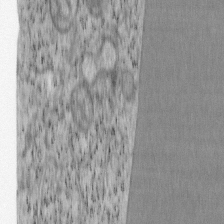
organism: Human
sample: HeLa cells